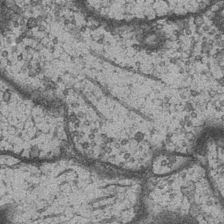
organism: Drosophila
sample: Optic medulla